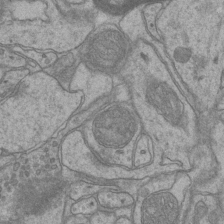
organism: Mouse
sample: CA1 Hippocampus